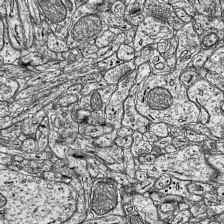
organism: Mouse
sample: Visual Cortex